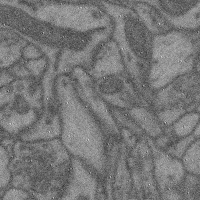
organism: Mouse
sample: Cerebral cortex